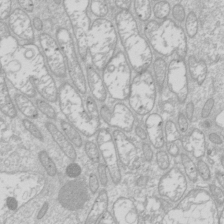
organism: Drosophila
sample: Cell division; meiosis; drosophila spermatocytes